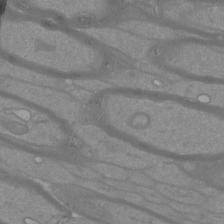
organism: Mouse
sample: Cortical neurons